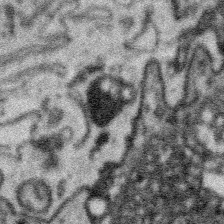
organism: Platynereis dumerilii